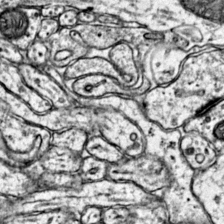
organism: Mouse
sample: Primary visual cortex